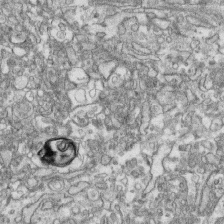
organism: Human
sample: CRL-1474